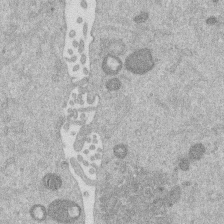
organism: Mouse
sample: Dividing mouse embryo 1 cell stage